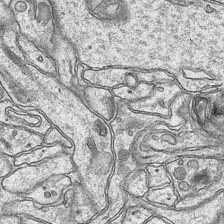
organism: Mouse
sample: CA1 Hippocampus